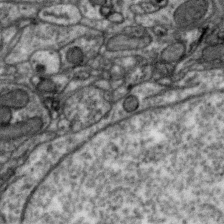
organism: Zebra finch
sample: Brain